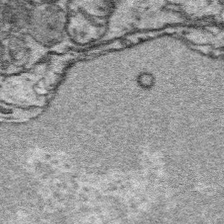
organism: Platynereis dumerilii